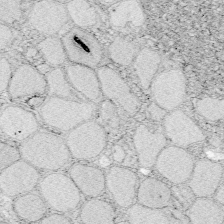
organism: Zebrafish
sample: Whole-Brain